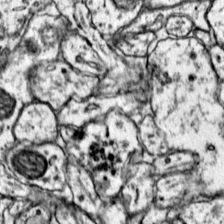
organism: Mouse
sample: Primary visual cortex